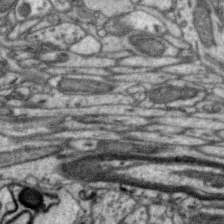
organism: Zebra finch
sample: Brain